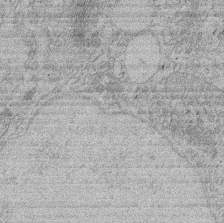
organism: Rat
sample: Salivary granule